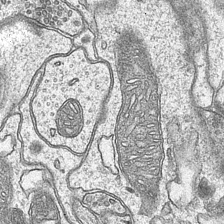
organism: Mouse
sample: CA1 Hippocampus